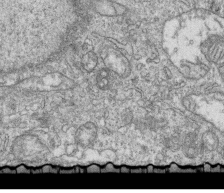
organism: Human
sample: HeLa cell HIV synapse